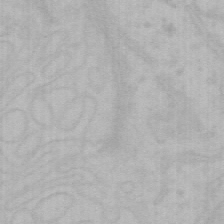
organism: Mouse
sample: Choroid plexus